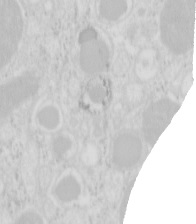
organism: Mouse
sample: Pancreas